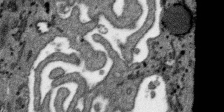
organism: Human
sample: Lung epithelial cells, uninfected (mock) control